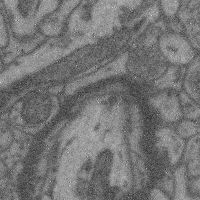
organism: Mouse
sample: Cerebral cortex